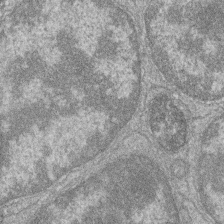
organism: Zebrafish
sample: Cilia; retinal pigment epithelium